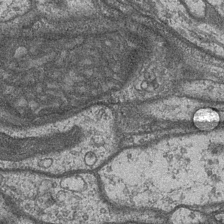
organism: Drosophila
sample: Optic medulla